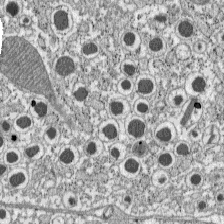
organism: C57BL Mouse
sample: Pancreatic islet